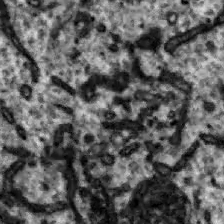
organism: Human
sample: HeLa cells